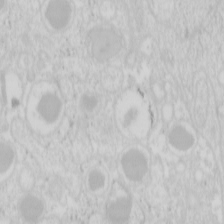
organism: Mouse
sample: Pancreas